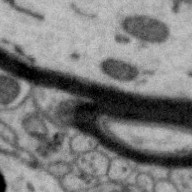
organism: Zebra finch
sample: Brain